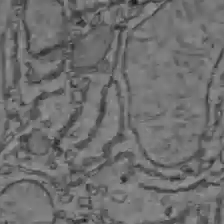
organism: C57BL Mouse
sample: Liver